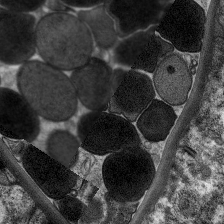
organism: C. elegans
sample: Pharynx